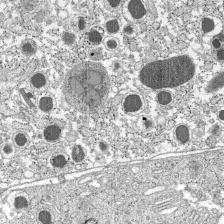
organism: C57BL Mouse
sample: Pancreatic islet